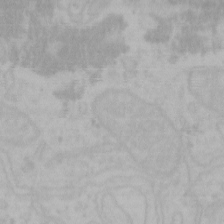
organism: Mouse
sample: Choroid plexus